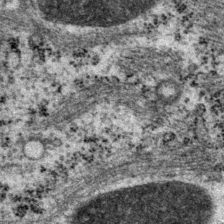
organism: P. pacificus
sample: Pharynx